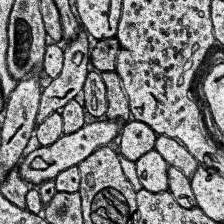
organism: Human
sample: Temporal Lobe